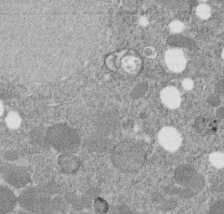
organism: C. elegans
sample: C. elegans embryo early stage